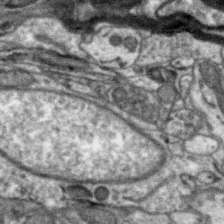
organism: Zebra finch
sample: Brain